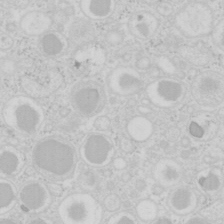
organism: Mouse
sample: Pancreas